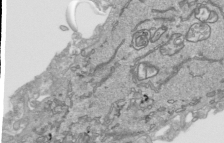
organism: Human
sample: Mitochondria in HCT116 cells